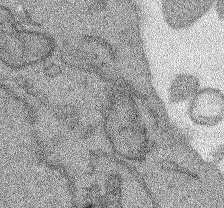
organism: Human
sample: HeLa cells